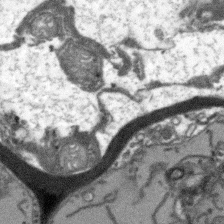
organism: Arabidopsis thaliana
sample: Root tip